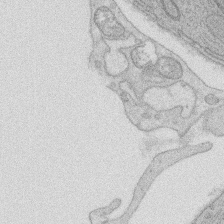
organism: Rat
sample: Salivary granule